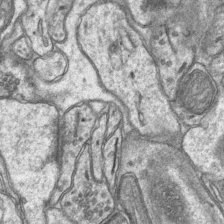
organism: Mouse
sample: CA1 Hippocampus